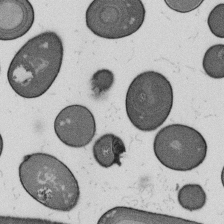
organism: B. subtilis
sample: Bacterial spore